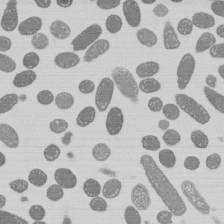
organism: E. coli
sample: Bacterial nucleoid